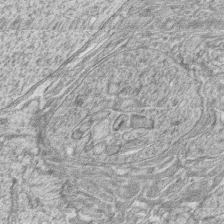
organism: Zebrafish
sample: synaptic ribbons in rod cells and cone cells